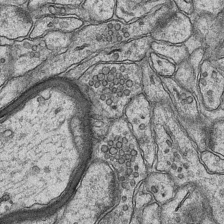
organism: Mouse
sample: CA1 Hippocampus